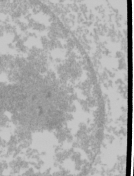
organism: Mouse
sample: Cancer cell death in ED-1 cells